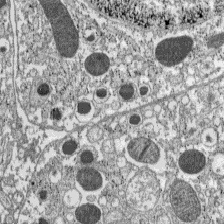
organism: C57BL Mouse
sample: Pancreatic islet